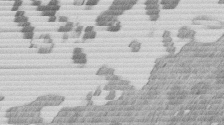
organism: Mouse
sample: Dividing mouse embryo 1 cell stage